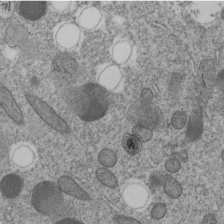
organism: C. elegans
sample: C. elegans embryo early stage